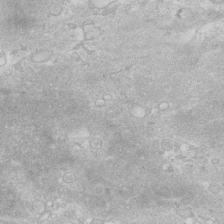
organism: Human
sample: Fibroblast cells